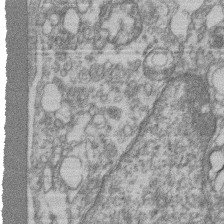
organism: Mouse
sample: T cell stromal cell synapse